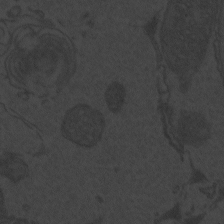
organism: Zebrafish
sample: Macrophage infected with Toxoplasma gondii